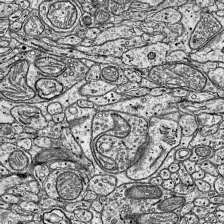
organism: Mouse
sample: Visual Cortex